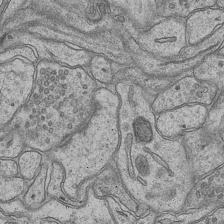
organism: Mouse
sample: CA1 Hippocampus